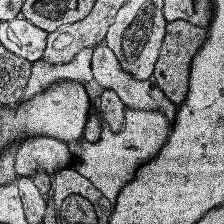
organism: Human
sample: Temporal Lobe